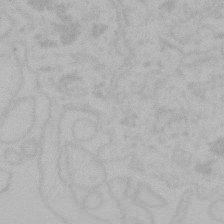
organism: Mouse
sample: Choroid plexus